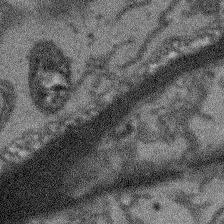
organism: Arabidopsis thaliana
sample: Root tip